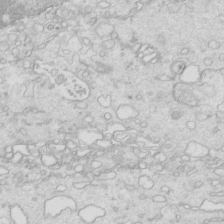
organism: Mouse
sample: Multiciliated cells